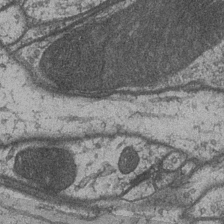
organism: Drosophila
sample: Optic medulla